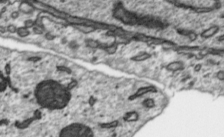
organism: Toxoplasma gondii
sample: Parasites in a vacuole inside a host cell